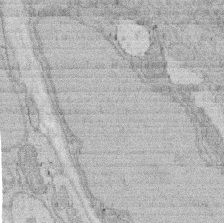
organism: Rat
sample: Salivary granule